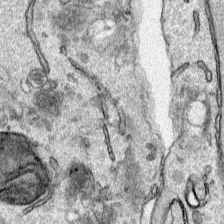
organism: Human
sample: Mitochondria in HCT116 cells